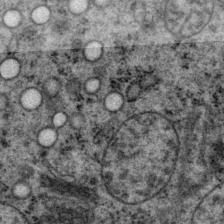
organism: P. pacificus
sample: Pharynx